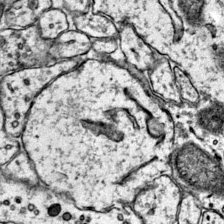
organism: Mouse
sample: Primary visual cortex